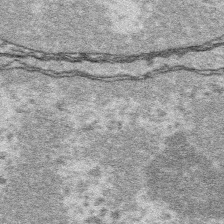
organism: Platynereis dumerilii